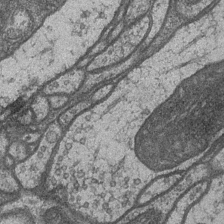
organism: Drosophila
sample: Optic medulla